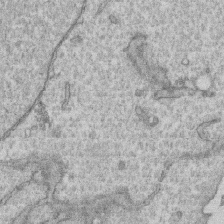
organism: Human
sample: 1205lu cells